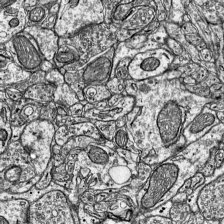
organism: Mouse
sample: Visual Cortex